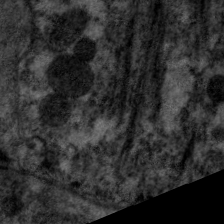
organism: C. elegans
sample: Pharynx